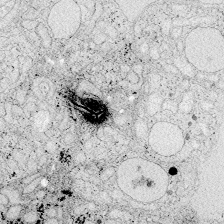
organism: Zebrafish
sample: Whole-Brain